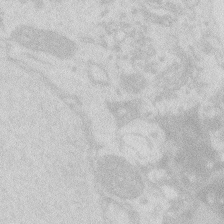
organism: Zebrafish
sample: Macrophage